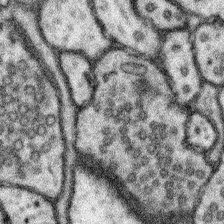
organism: Mouse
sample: Somatosensory cortex neuropil